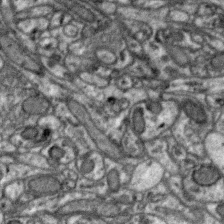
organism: Zebra finch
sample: Brain